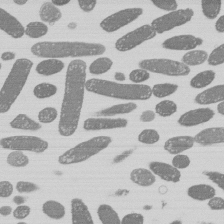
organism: E. coli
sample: Bacterial nucleoid